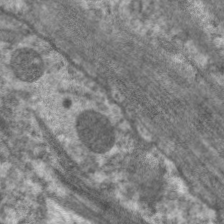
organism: C. elegans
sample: Pharynx